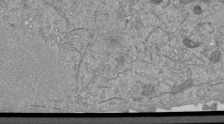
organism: Mouse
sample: ED-1 cell nuclei; centrioles